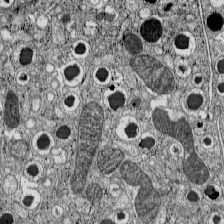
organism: C57BL Mouse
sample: Pancreatic islet